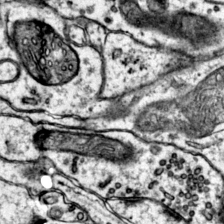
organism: Mouse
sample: Primary visual cortex